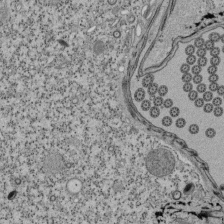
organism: Tetrahymena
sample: Cilia in tetrahymena